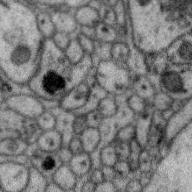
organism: Zebra finch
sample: Brain